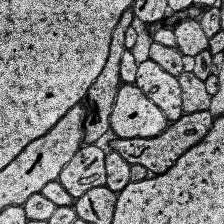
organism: Human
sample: Temporal Lobe